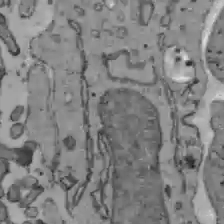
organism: C57BL Mouse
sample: Liver